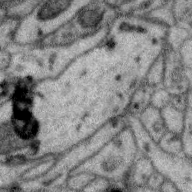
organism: Zebra finch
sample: Brain